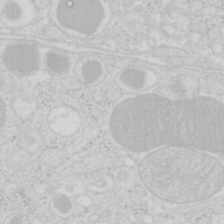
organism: Mouse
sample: Pancreas